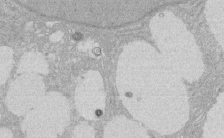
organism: Rat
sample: Salivary granule